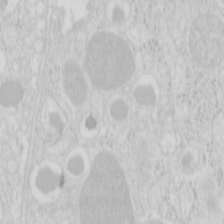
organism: Mouse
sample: Pancreas